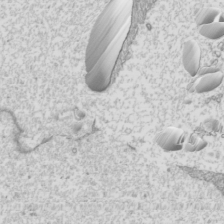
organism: Mouse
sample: Cilia; mouse epididymis